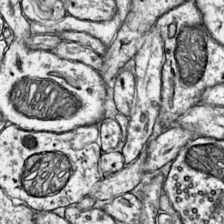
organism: Mouse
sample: Primary visual cortex